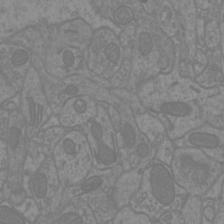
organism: Mouse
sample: Cortical neurons